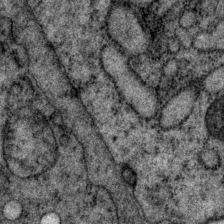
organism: P. pacificus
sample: Pharynx